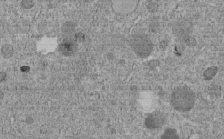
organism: C. elegans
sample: C. elegans embryo early stage